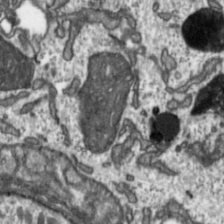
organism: Toxoplasma gondii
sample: Parasites in a vacuole inside a host cell